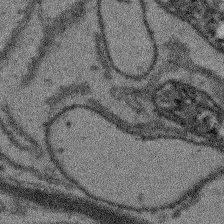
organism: Arabidopsis thaliana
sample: Root tip